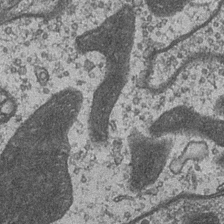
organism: Drosophila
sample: Optic medulla